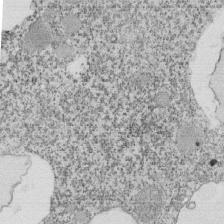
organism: Tetrahymena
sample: Cilia in tetrahymena